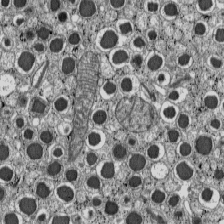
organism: C57BL Mouse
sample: Pancreatic islet